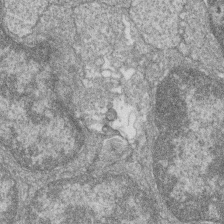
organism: Zebrafish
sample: Cilia; retinal pigment epithelium